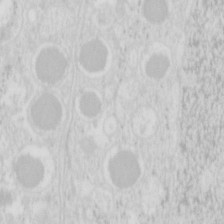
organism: Mouse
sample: Pancreas